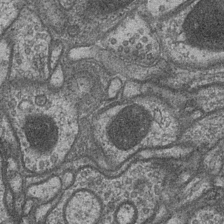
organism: Drosophila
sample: Optic medulla